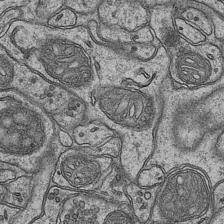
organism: Mouse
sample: CA1 Hippocampus